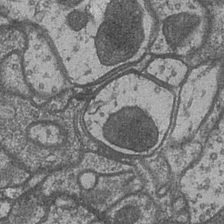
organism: Drosophila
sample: Optic medulla